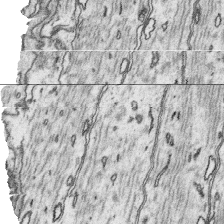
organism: Platynereis dumerilii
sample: Parapodia